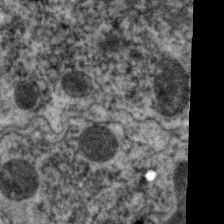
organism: C. elegans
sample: Pharynx